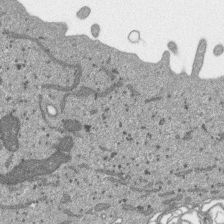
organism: Human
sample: Lung epithelial cells infected with SARS-CoV-2